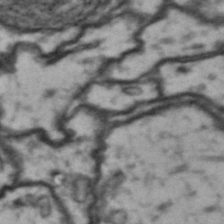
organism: Drosophila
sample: Brain